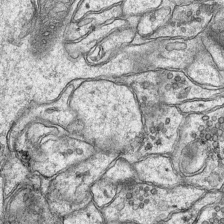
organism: Mouse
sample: CA1 Hippocampus